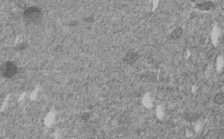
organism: C. elegans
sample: C. elegans embryo early stage